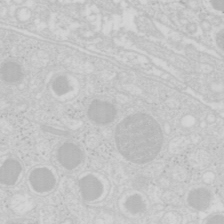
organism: Mouse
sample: Pancreas